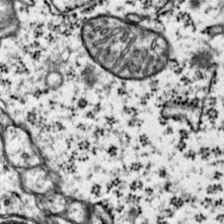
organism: Mouse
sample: Primary visual cortex